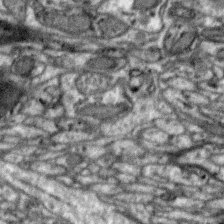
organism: Zebra finch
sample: Brain